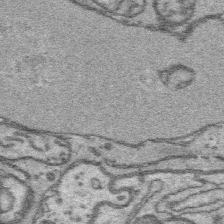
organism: Platynereis dumerilii